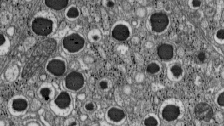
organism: C57BL Mouse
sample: Pancreatic islet